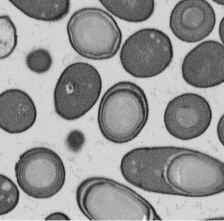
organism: B. subtilis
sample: Bacterial spore